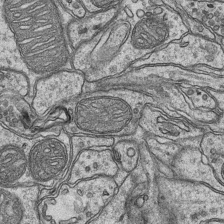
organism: Mouse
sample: CA1 Hippocampus